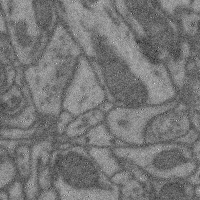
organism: Mouse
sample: Cerebral cortex